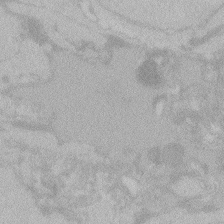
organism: Zebrafish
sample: Macrophage infected with Toxoplasma gondii